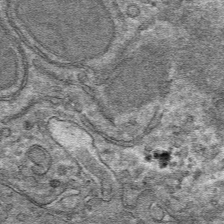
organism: Mouse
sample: Mouse hepatocytes